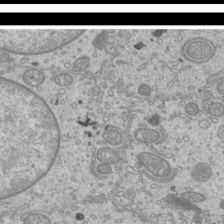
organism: Mouse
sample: Cilia; mouse epididymis